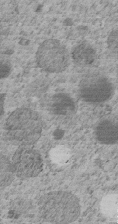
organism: C. elegans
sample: C. elegans embryo early stage